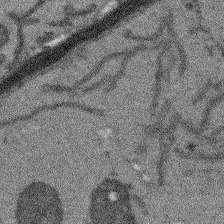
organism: Arabidopsis thaliana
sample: Root tip